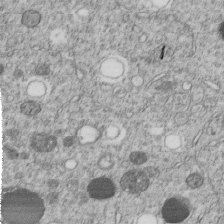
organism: C. elegans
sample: C. elegans embryo early stage